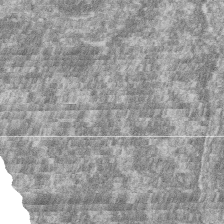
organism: Zebrafish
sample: Cilia; retinal pigment epithelium